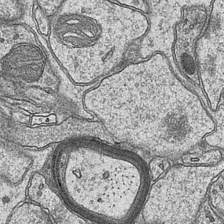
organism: Mouse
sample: CA1 Hippocampus